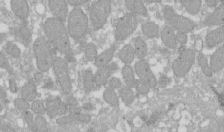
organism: Xenopus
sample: Cilia; centrioles in frog embryo cells